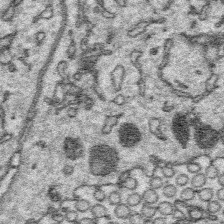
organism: Platynereis dumerilii